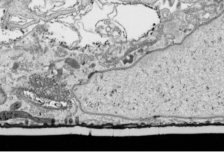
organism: Human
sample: Mitochondria in HCT116 cells